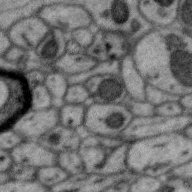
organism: Zebra finch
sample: Brain